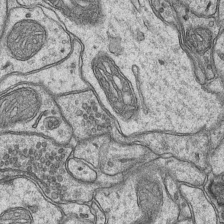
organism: Mouse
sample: CA1 Hippocampus